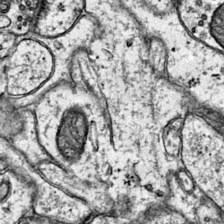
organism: Mouse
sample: Primary visual cortex